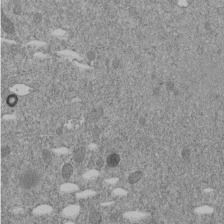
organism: C. elegans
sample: C. elegans embryo early stage